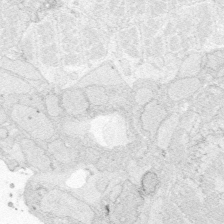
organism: Zebrafish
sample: Whole-Brain